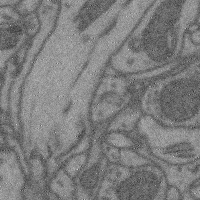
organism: Mouse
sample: Cerebral cortex